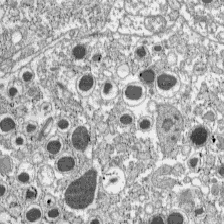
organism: C57BL Mouse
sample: Pancreatic islet